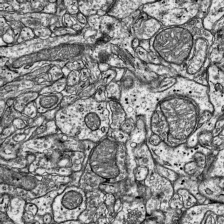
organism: Mouse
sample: Visual Cortex